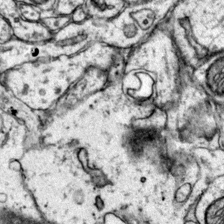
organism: Mouse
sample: Primary visual cortex